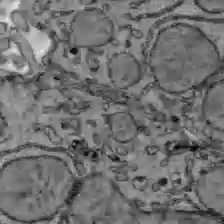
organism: C57BL Mouse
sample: Liver